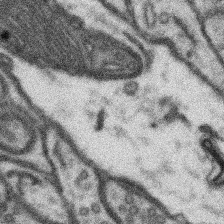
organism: Mouse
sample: Somatosensory cortex neuropil